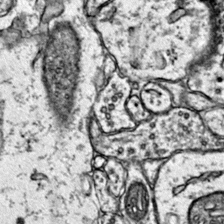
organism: Mouse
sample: Primary visual cortex